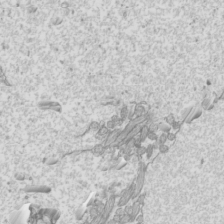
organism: Mouse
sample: Cilia; mouse epididymis